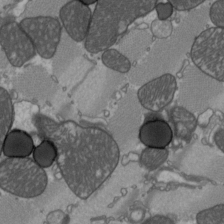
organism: C57BL Mouse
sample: Heart